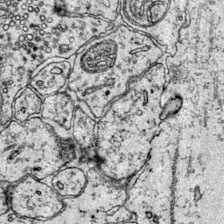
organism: Mouse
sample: Primary visual cortex